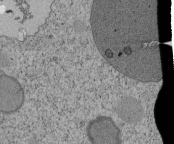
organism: Tetrahymena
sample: Cilia in tetrahymena